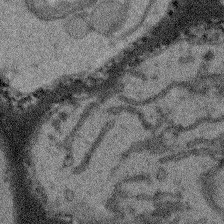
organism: Arabidopsis thaliana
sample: Root tip